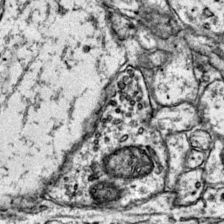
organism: Mouse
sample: Primary visual cortex